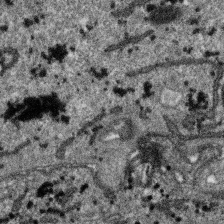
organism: Human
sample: Lung epithelial cells infected with SARS-CoV-2